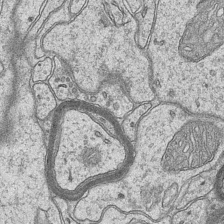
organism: Mouse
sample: CA1 Hippocampus